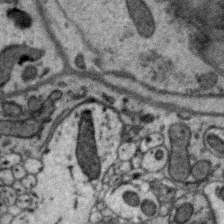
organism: Zebra finch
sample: Brain